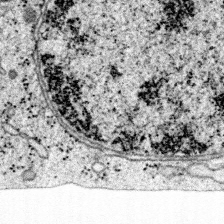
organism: Human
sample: HeLa cells